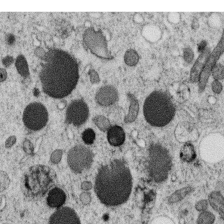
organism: C. elegans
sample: C. elegans oocyte; sperm cells